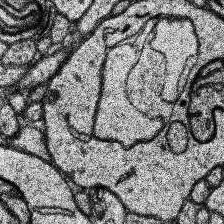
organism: Human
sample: Temporal Lobe